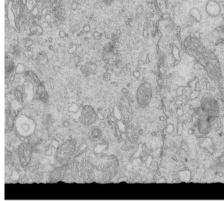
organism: Mouse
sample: Multiciliated cells